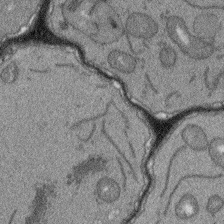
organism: Arabidopsis thaliana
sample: Root tip